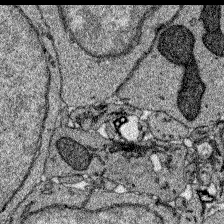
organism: Zebrafish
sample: Larval olfactory bulb